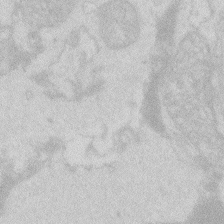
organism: Zebrafish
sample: Macrophage